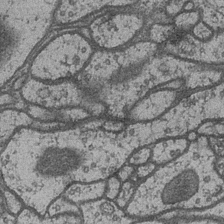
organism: Drosophila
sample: Optic medulla